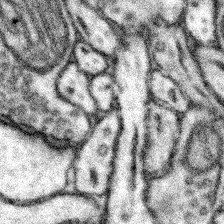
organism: Mouse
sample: Somatosensory cortex neuropil